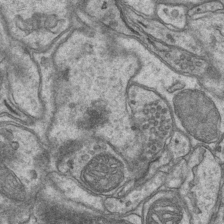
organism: Mouse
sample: CA1 Hippocampus